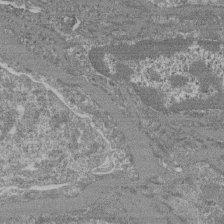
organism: Mouse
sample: Glomerulus